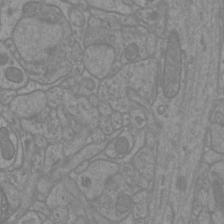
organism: Mouse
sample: Cortical neurons